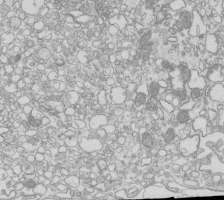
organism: Mouse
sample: Macrophages